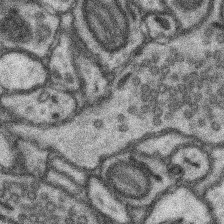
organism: Mouse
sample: Somatosensory cortex neuropil